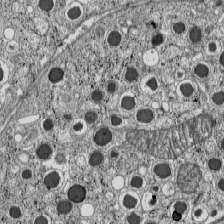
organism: C57BL Mouse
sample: Pancreatic islet